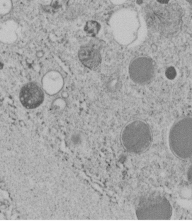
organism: C. elegans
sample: C. elegans embryo early stage